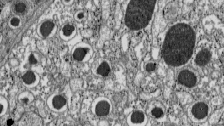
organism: C57BL Mouse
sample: Pancreatic islet